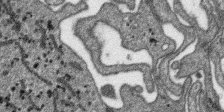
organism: Human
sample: Lung epithelial cells infected with SARS-CoV-2